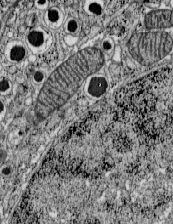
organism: C57BL Mouse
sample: Pancreatic islet